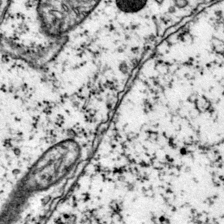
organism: Mouse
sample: Primary visual cortex